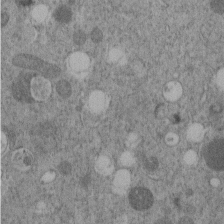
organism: C. elegans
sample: C. elegans embryo early stage